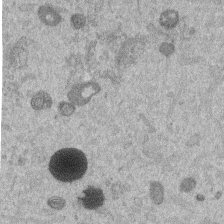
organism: Mouse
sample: Dividing mouse embryo 1 cell stage